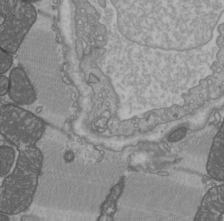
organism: C57BL Mouse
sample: Heart